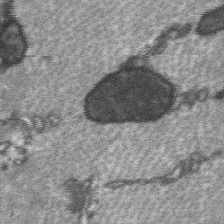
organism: C57BL Mouse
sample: Soleus